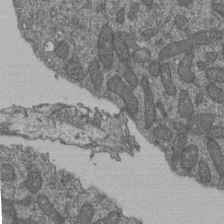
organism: Human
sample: Retinal organoid Rod and Cone cells